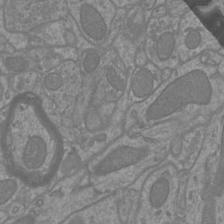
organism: Mouse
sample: Cortical neurons